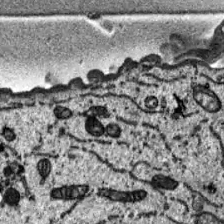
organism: Human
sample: HeLa cells